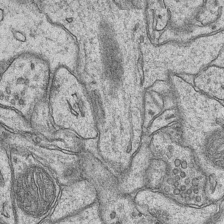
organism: Mouse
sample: CA1 Hippocampus